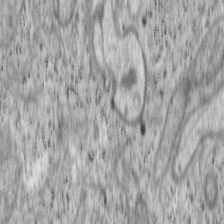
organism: Human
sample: HeLa cells